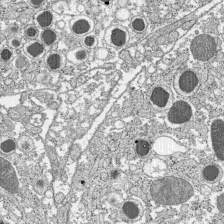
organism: C57BL Mouse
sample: Pancreatic islet